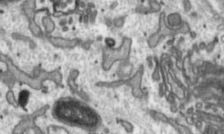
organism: Toxoplasma gondii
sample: Parasites in a vacuole inside a host cell